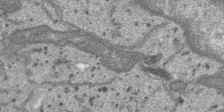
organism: Human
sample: Lung epithelial cells infected with SARS-CoV-2